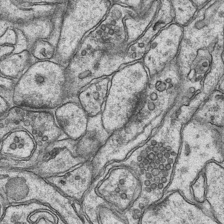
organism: Mouse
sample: CA1 Hippocampus